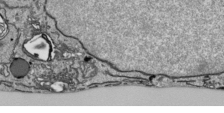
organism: Human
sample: Mitochondria in HCT116 cells